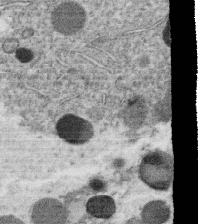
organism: C. elegans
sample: C. elegans oocyte; sperm cells